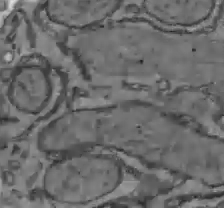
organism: C57BL Mouse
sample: Liver